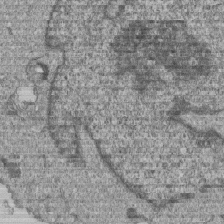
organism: Human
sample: MDA-MB-231 cells